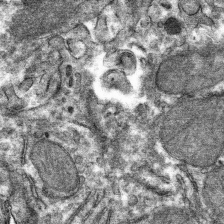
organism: Mouse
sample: Mouse hepatocytes